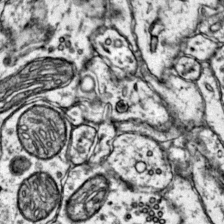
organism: Mouse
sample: Primary visual cortex